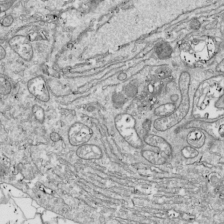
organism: Drosophila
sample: Cell division; meiosis; drosophila spermatocytes